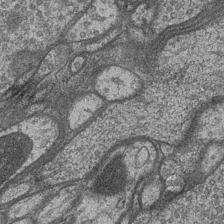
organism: Drosophila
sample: Optic medulla